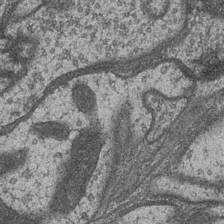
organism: Drosophila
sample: Optic medulla